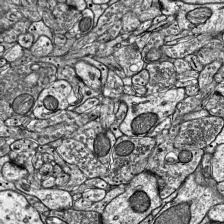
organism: Mouse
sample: Visual Cortex